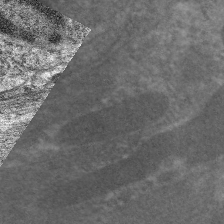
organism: C. elegans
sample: Pharynx